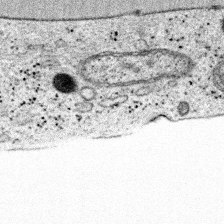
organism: Human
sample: HeLa cells